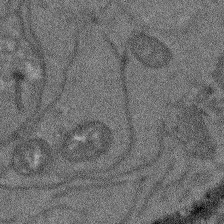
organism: Arabidopsis thaliana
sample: Root tip